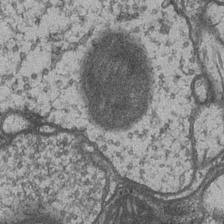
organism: Drosophila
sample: Optic medulla